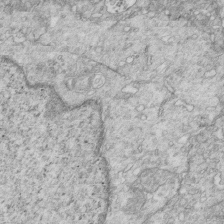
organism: Mouse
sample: Multiciliated cells